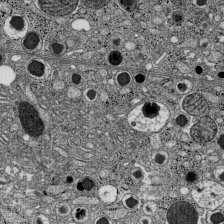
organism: C57BL Mouse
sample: Pancreatic islet